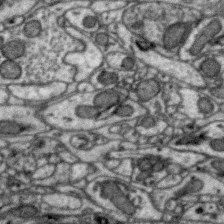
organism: Zebra finch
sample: Brain